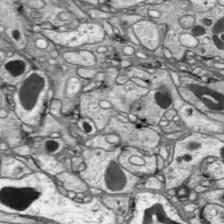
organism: Drosophila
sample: Optic lobe